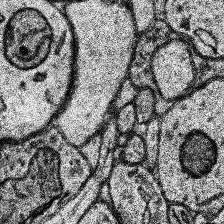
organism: Human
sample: Temporal Lobe